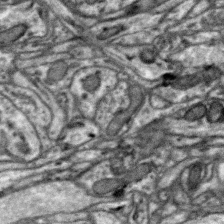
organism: Zebra finch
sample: Brain